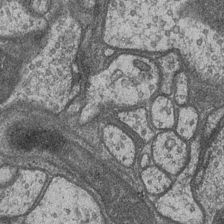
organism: Drosophila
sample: Optic medulla